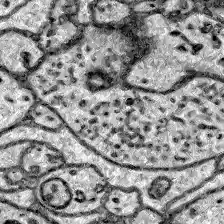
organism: Zebrafish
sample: Brain